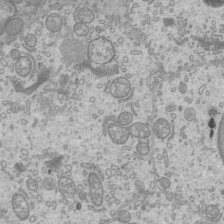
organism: Mouse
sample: Cilia; mouse epididymis